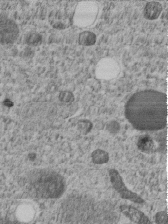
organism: C. elegans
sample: C. elegans embryo early stage